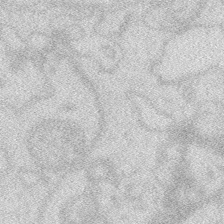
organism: Zebrafish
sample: Macrophage